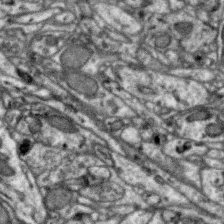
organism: Zebra finch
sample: Brain